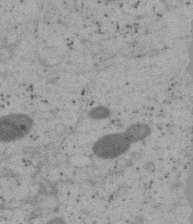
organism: Human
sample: HeLa cells